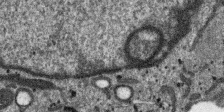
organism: Human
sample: Lung epithelial cells infected with SARS-CoV-2